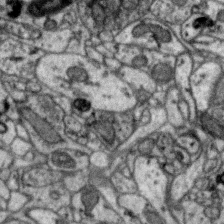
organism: Zebra finch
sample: Brain